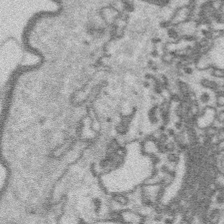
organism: Platynereis dumerilii